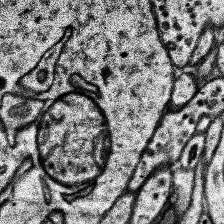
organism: Human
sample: Temporal Lobe